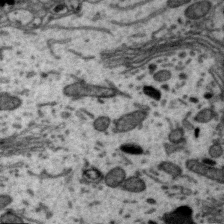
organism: Zebra finch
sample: Brain